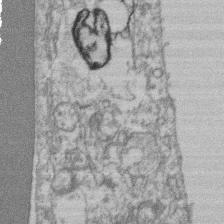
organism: Mouse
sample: T cell stromal cell synapse